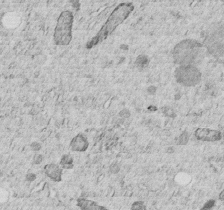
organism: C. elegans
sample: C. elegans embryo early stage